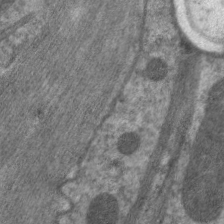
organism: C. elegans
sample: Pharynx